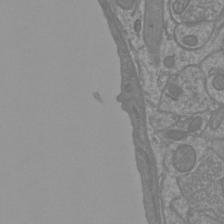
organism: Mouse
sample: Cortical neurons